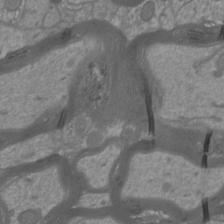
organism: Mouse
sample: Cortical neurons